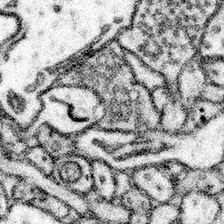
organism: Mouse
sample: Somatosensory cortex neuropil